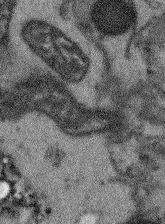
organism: Arabidopsis thaliana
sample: Root tip